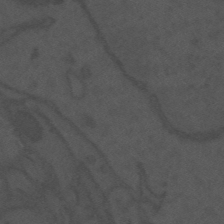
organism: Mouse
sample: Suprachiasmatic nucleus